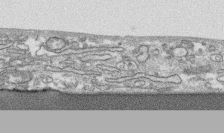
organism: Human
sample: CRL-1474